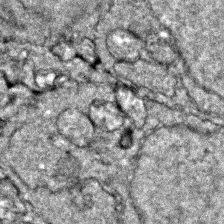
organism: Zebrafish